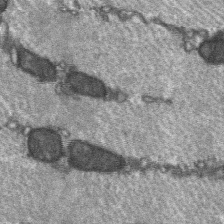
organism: C57BL Mouse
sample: Soleus